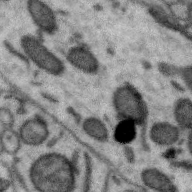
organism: Zebra finch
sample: Brain